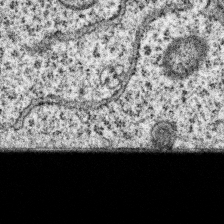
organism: Human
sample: HeLa cells